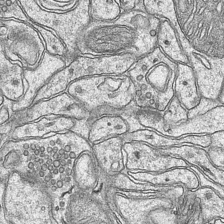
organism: Mouse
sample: CA1 Hippocampus